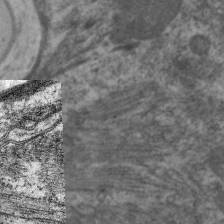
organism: C. elegans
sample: Pharynx